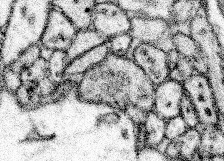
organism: Mouse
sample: Somatosensory cortex neuropil